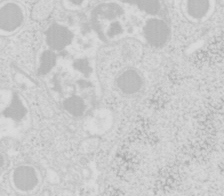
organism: Mouse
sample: Pancreas